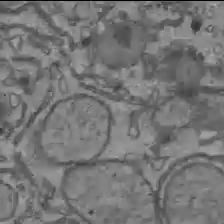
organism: C57BL Mouse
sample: Liver